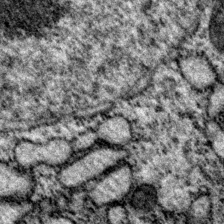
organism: P. pacificus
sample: Pharynx